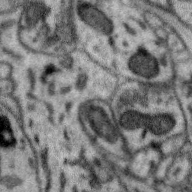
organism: Zebra finch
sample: Brain